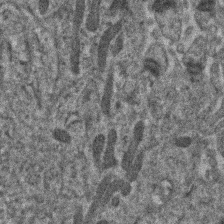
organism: Human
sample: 1205lu cells